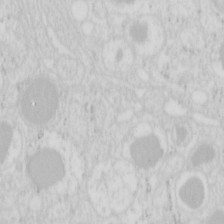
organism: Mouse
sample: Pancreas